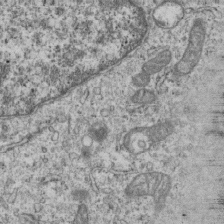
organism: Human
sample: MDA-MB-231 cells